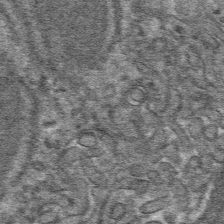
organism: Mouse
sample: Mouse hepatocytes